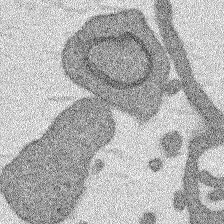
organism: Human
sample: HeLa cells